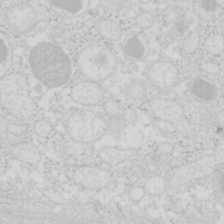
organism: Mouse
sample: Pancreas